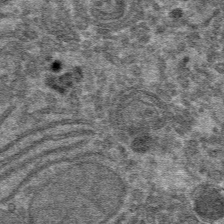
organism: Mouse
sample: Mouse hepatocytes